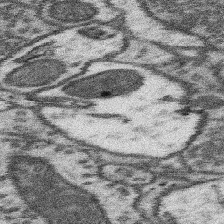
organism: Mouse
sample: Somatosensory cortex neuropil